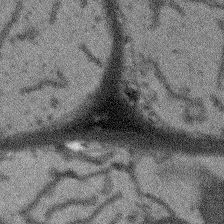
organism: Arabidopsis thaliana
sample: Root tip